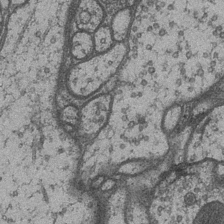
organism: Drosophila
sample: Optic medulla